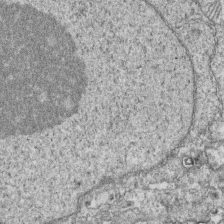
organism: Human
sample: HeLa cell HIV synapse